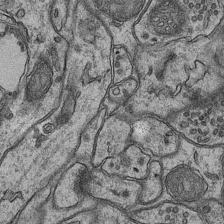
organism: Mouse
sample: CA1 Hippocampus